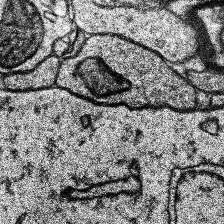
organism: Human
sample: Temporal Lobe